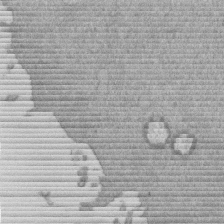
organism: Mouse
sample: Dividing mouse embryo 1 cell stage